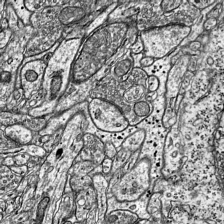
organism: Mouse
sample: Visual Cortex